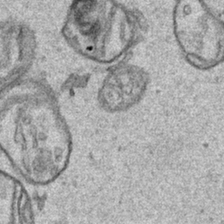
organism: Human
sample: Mitochondria in HCT116 cells